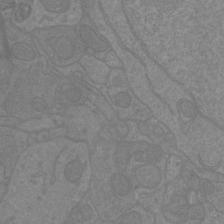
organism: Mouse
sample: Cortical neurons